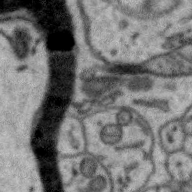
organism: Zebra finch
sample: Brain